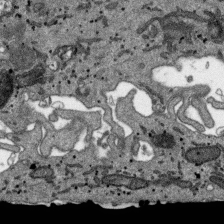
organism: Human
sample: Lung epithelial cells, uninfected (mock) control